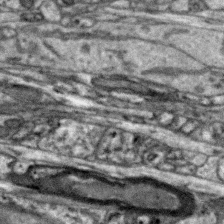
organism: Zebra finch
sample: Brain